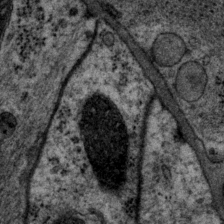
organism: P. pacificus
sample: Pharynx